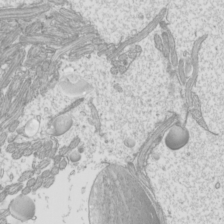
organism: Mouse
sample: Cilia; mouse epididymis